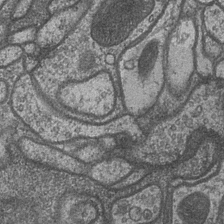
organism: Drosophila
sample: Optic medulla